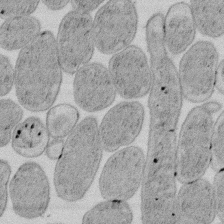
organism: E. coli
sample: Bacterial nucleoid